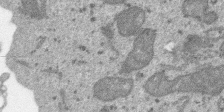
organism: Human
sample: Lung epithelial cells infected with SARS-CoV-2